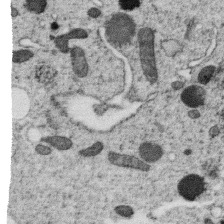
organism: C. elegans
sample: C. elegans oocyte; sperm cells